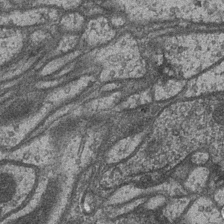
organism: Drosophila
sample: Optic medulla